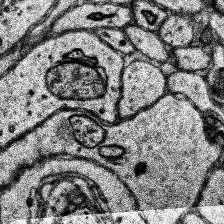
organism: Human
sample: Temporal Lobe